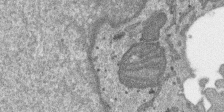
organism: Human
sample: Lung epithelial cells infected with SARS-CoV-2